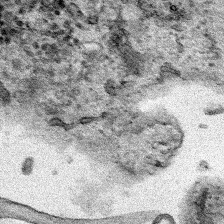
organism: Human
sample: Mitochondria in HCT116 cells